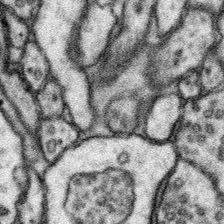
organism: Mouse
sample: Somatosensory cortex neuropil